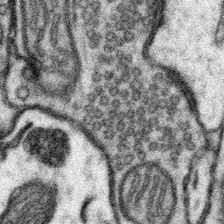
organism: Mouse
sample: Somatosensory cortex neuropil